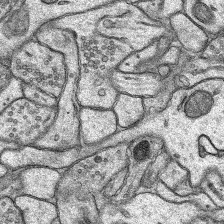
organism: Rat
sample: Hippocampus